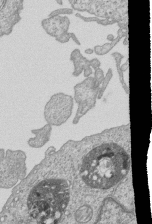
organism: Human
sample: MDA-MB-231 cells